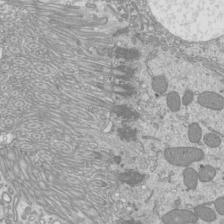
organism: Mouse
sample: Cilia; mouse epididymis